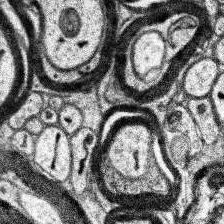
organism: Human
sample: Temporal Lobe